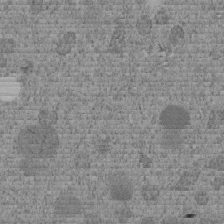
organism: C. elegans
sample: C. elegans embryo early stage